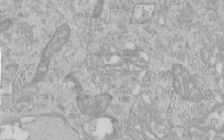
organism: Human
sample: Centriole in RPE cells